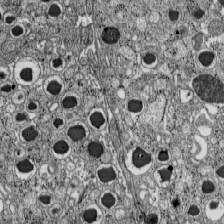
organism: C57BL Mouse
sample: Pancreatic islet